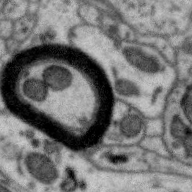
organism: Zebra finch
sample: Brain